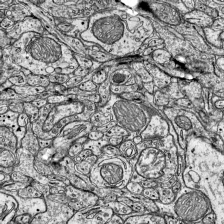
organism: Mouse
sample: Visual Cortex